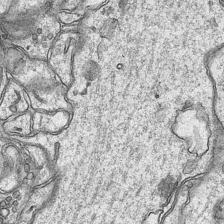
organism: Mouse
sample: CA1 Hippocampus